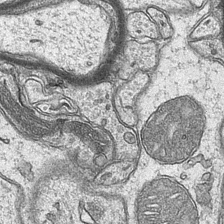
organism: Mouse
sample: CA1 Hippocampus